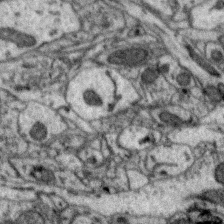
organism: Zebra finch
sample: Brain